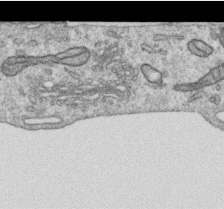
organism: Human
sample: Centriole in RPE cells